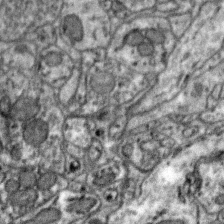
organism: Zebra finch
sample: Brain